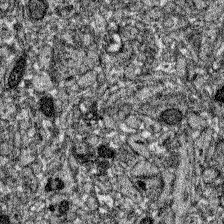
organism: Zebrafish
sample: Larval olfactory bulb